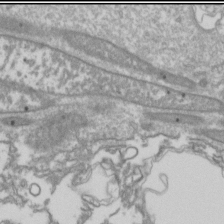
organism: Drosophila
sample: Cell division; meiosis; drosophila spermatocytes